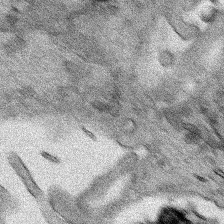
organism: Human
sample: Mitochondria in HCT116 cells